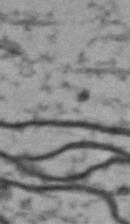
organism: Drosophila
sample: Brain